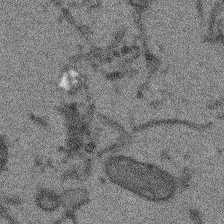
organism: Arabidopsis thaliana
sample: Root tip